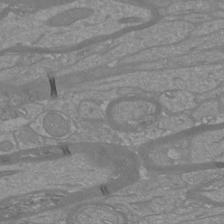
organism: Mouse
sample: Cortical neurons